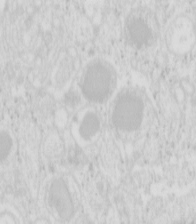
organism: Mouse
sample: Pancreas